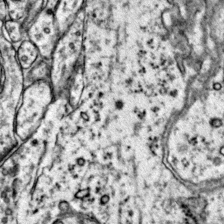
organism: Mouse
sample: Primary visual cortex